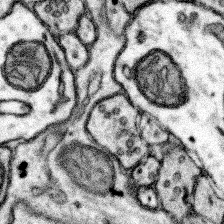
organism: Mouse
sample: Somatosensory cortex neuropil